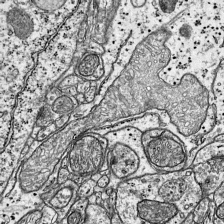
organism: Mouse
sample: Visual Cortex